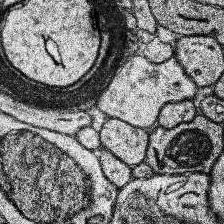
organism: Human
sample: Temporal Lobe